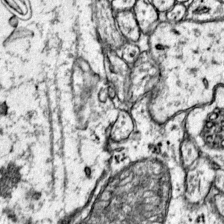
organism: Mouse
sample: Primary visual cortex